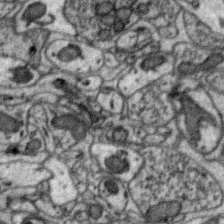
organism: Zebra finch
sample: Brain